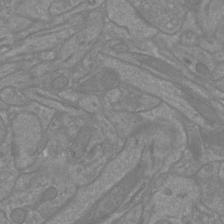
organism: Mouse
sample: Cortical neurons